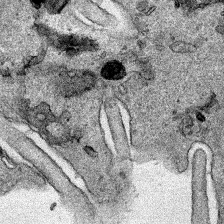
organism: Human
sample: Mitochondria in HCT116 cells